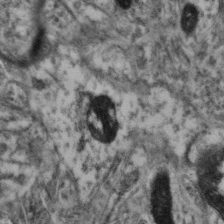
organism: Mouse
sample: Neocortex